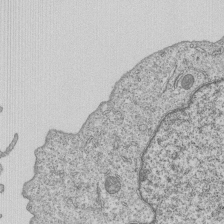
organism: Human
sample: MDA-MB-231 cells